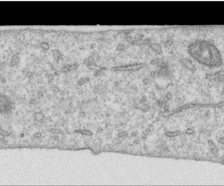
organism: Human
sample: Centriole in RPE cells